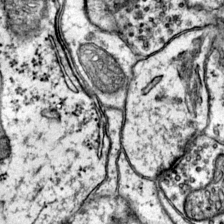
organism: Mouse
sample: Primary visual cortex